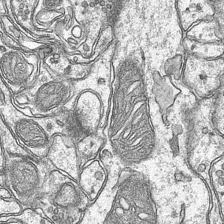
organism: Mouse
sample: CA1 Hippocampus